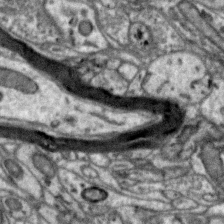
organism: Zebra finch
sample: Brain